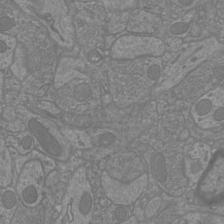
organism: Mouse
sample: Cortical neurons